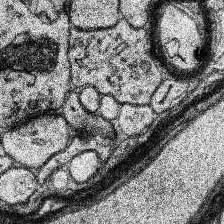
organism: Human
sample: Temporal Lobe